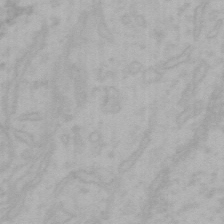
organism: Mouse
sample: Choroid plexus